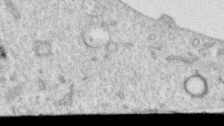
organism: Human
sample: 1205lu cells